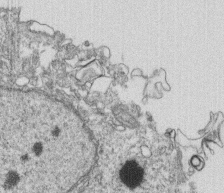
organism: Human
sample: HeLa cell HIV synapse